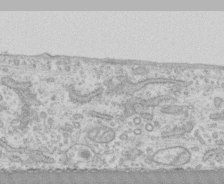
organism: Human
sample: CRL-1474